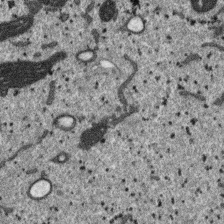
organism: Human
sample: Lung epithelial cells infected with SARS-CoV-2